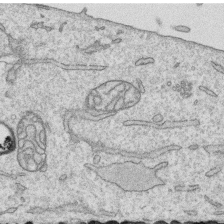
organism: Human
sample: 1205lu cells